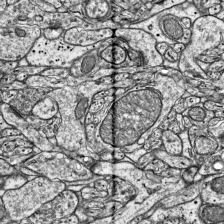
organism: Mouse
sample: Visual Cortex